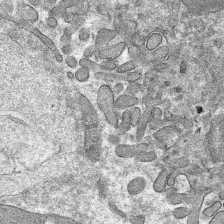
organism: Mouse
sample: Mouse hepatocytes